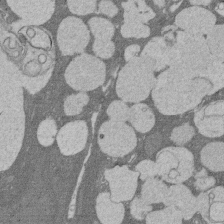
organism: Rat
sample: Salivary granule